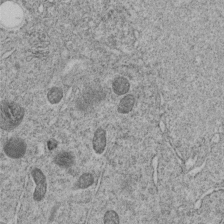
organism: C. elegans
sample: C. elegans embryo early stage